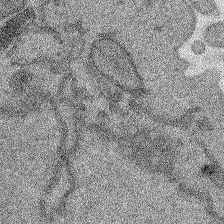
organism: Human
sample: HeLa cells